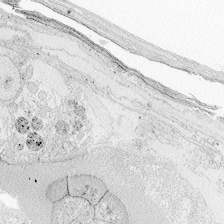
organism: Zebrafish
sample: Whole-Brain